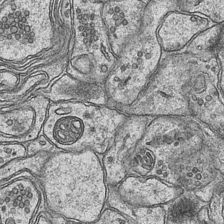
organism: Mouse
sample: CA1 Hippocampus